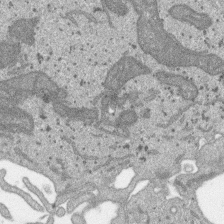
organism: Human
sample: Lung epithelial cells infected with SARS-CoV-2